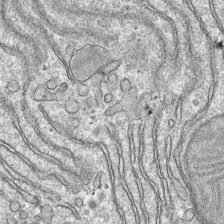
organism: Mouse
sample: Mouse hepatocytes